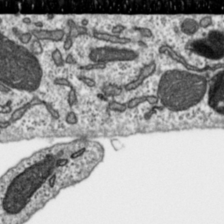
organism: Toxoplasma gondii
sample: Parasites in a vacuole inside a host cell